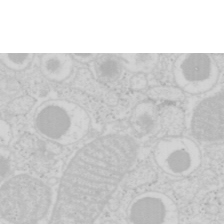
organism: Mouse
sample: Pancreas